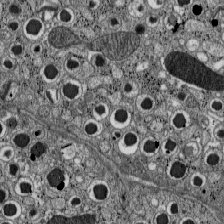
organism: C57BL Mouse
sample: Pancreatic islet